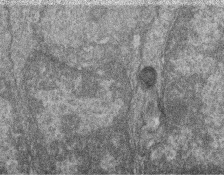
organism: Zebrafish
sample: Cilia; retinal pigment epithelium